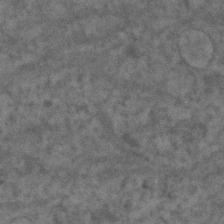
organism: Human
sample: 1205lu cells